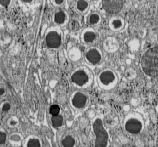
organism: C57BL Mouse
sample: Pancreatic islet